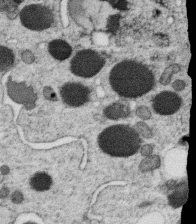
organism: C. elegans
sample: C. elegans oocyte; sperm cells